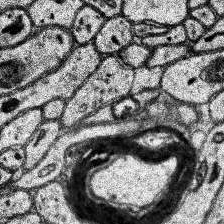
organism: Human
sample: Temporal Lobe